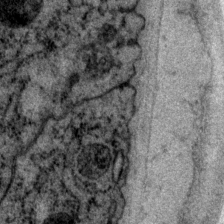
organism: P. pacificus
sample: Pharynx